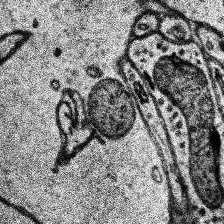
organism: Human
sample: Temporal Lobe